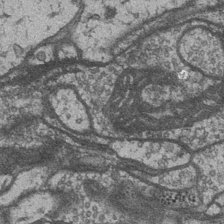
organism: Drosophila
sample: Optic medulla